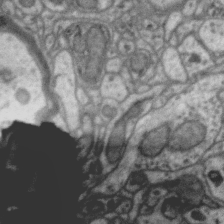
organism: Zebra finch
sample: Brain